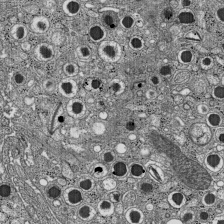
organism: C57BL Mouse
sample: Pancreatic islet